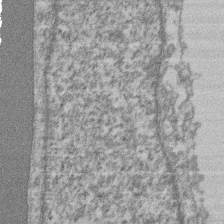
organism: Mouse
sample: T cell stromal cell synapse